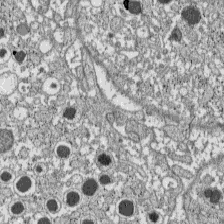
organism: C57BL Mouse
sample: Pancreatic islet